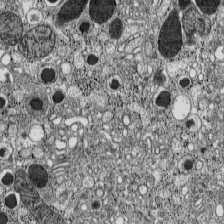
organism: C57BL Mouse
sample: Pancreatic islet